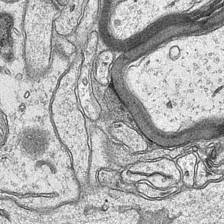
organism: Mouse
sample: CA1 Hippocampus